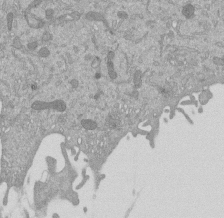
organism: Mouse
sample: ED-1 cell nuclei; centrioles